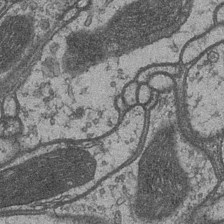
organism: Drosophila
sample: Optic medulla